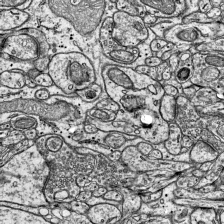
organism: Mouse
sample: Visual Cortex